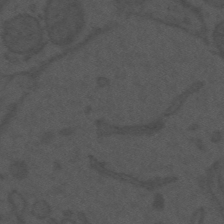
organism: Mouse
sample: Suprachiasmatic nucleus